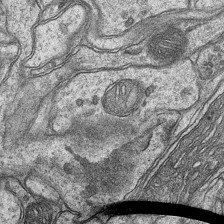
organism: Mouse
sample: CA1 Hippocampus